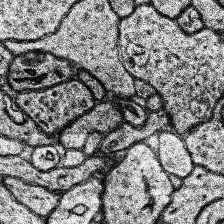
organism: Human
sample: Temporal Lobe